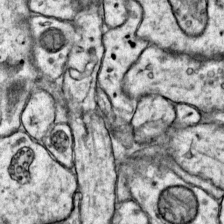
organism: Mouse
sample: Primary visual cortex